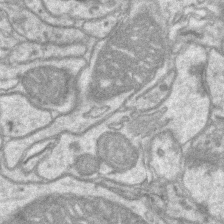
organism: Mouse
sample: CA1 Hippocampus